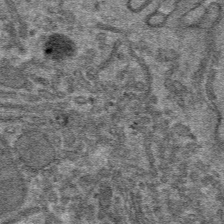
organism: Mouse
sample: Mouse hepatocytes